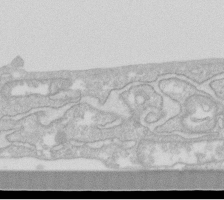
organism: Human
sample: Fibroblast cells